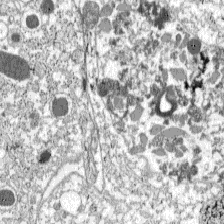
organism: C57BL Mouse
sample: Pancreatic islet